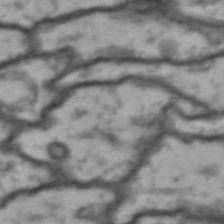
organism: Drosophila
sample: Brain